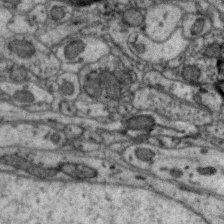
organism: Zebra finch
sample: Brain